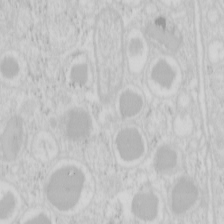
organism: Mouse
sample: Pancreas